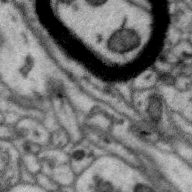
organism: Zebra finch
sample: Brain